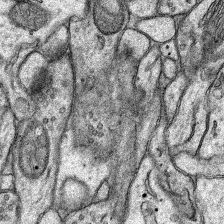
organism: Rat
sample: Hippocampus